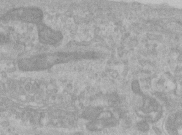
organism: Human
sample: Centriole in RPE cells